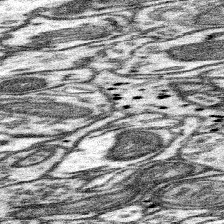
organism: Mouse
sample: Somatosensory cortex neuropil